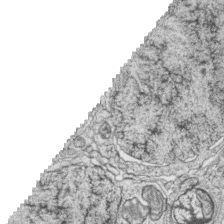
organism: Zebrafish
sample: synaptic ribbons in rod cells and cone cells